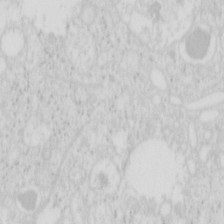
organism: Mouse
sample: Pancreas